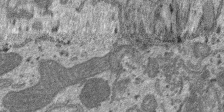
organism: Human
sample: Lung epithelial cells infected with SARS-CoV-2